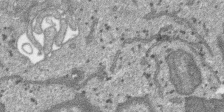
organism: Human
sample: Lung epithelial cells infected with SARS-CoV-2